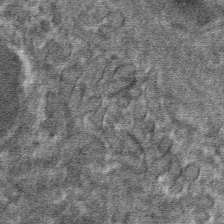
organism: Mouse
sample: Mouse hepatocytes